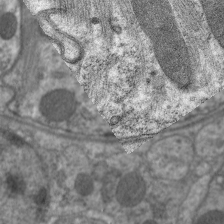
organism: C. elegans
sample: Pharynx